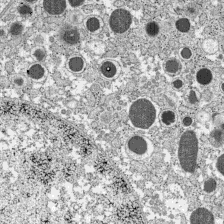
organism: C57BL Mouse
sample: Pancreatic islet